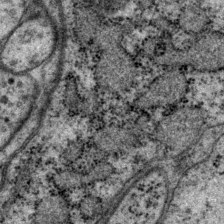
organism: P. pacificus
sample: Pharynx